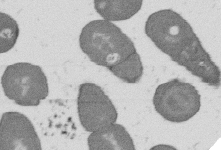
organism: B. subtilis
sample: Bacterial spore